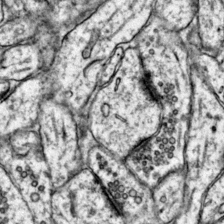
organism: Mouse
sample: Primary visual cortex